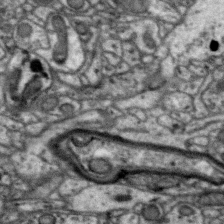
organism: Zebra finch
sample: Brain